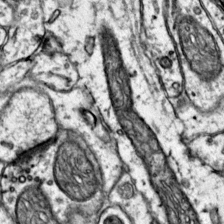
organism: Mouse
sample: Primary visual cortex